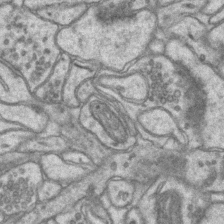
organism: Mouse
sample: CA1 Hippocampus